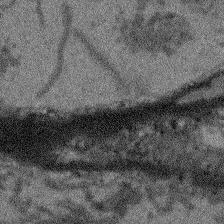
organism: Arabidopsis thaliana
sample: Root tip